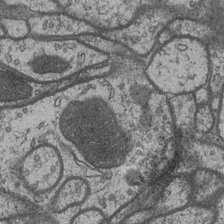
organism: Drosophila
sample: Optic medulla